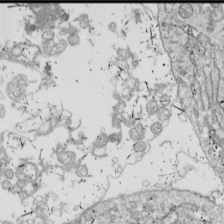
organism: Drosophila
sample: Cell division; meiosis; drosophila spermatocytes